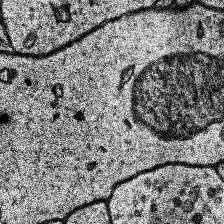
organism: Human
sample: Temporal Lobe